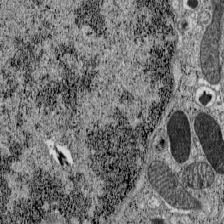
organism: C57BL Mouse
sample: Pancreatic islet